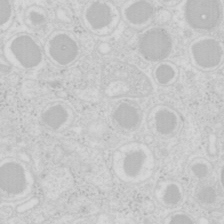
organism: Mouse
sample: Pancreas